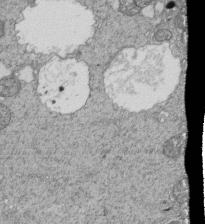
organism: Tetrahymena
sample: Cilia in tetrahymena